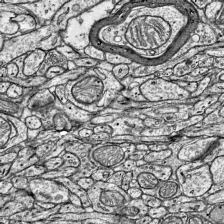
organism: Mouse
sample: Visual Cortex